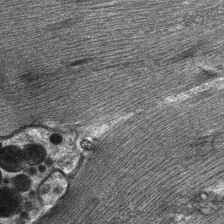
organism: C. elegans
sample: Pharynx